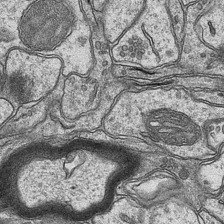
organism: Mouse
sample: CA1 Hippocampus